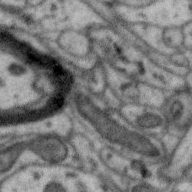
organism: Zebra finch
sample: Brain